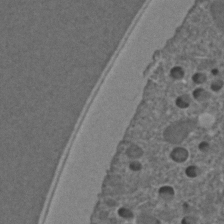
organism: C. elegans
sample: C. elegans embryo